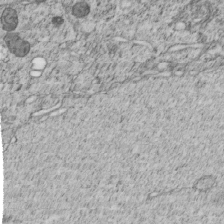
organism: C. elegans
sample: C. elegans embryo early stage